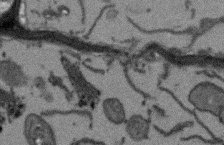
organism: Arabidopsis thaliana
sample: Root tip